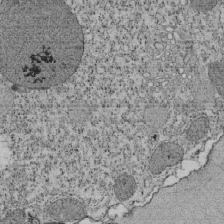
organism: Tetrahymena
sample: Cilia in tetrahymena